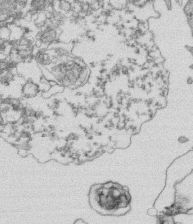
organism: Human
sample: HeLa cell HIV synapse